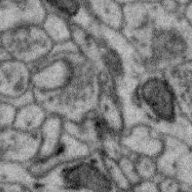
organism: Zebra finch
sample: Brain